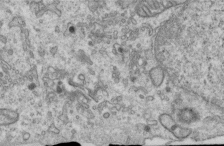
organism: Human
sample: Centriole in RPE cells